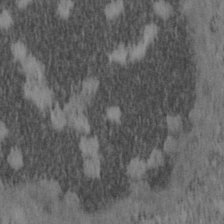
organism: Mouse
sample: OT-I killer T cells with ID8 ovarian cancer cells